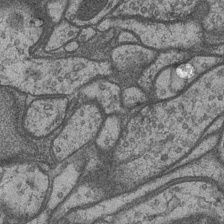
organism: Drosophila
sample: Optic medulla